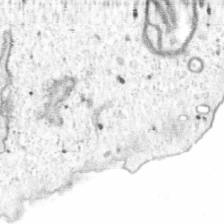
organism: Human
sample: HeLa cells